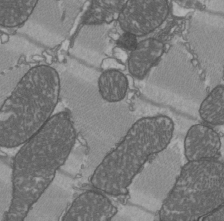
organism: C57BL Mouse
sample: Heart